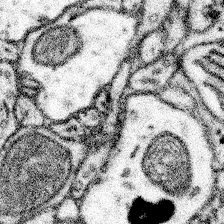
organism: Mouse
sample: Somatosensory cortex neuropil